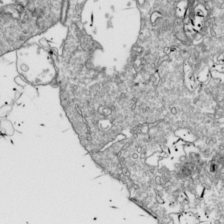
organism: Drosophila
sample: Cell division; meiosis; drosophila spermatocytes